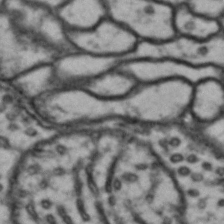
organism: Drosophila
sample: Brain